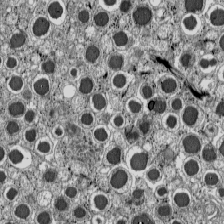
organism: C57BL Mouse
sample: Pancreatic islet